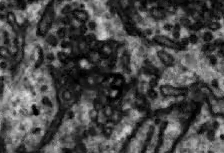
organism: Human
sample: HeLa cells